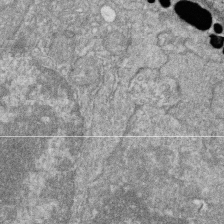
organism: Zebrafish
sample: Cilia; retinal pigment epithelium